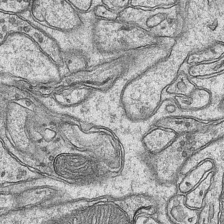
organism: Mouse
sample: CA1 Hippocampus